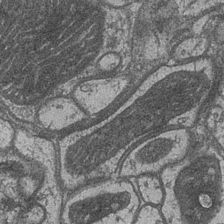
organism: Drosophila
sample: Optic medulla